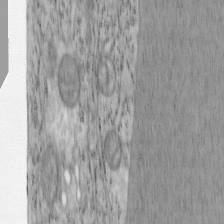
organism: Human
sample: HeLa cells